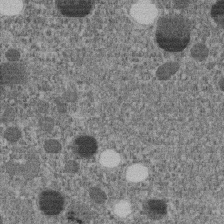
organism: C. elegans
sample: C. elegans embryo early stage